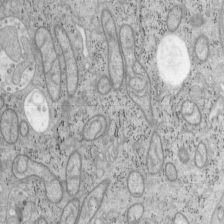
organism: Mouse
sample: OT-I killer T cells with ID8 ovarian cancer cells